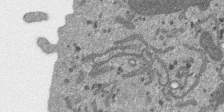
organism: Human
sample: Lung epithelial cells infected with SARS-CoV-2